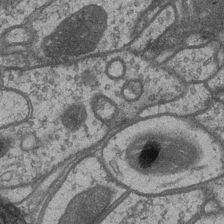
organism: Drosophila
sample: Optic medulla